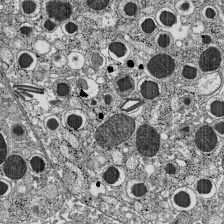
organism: C57BL Mouse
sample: Pancreatic islet